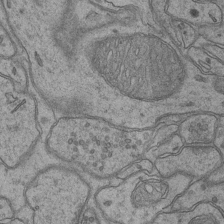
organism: Mouse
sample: CA1 Hippocampus